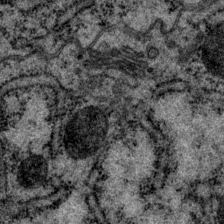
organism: P. pacificus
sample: Pharynx